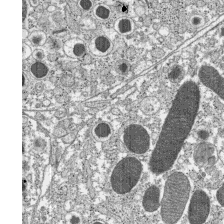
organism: C57BL Mouse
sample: Pancreatic islet